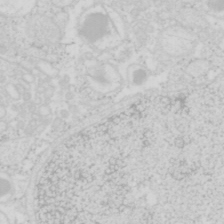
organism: Mouse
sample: Pancreas